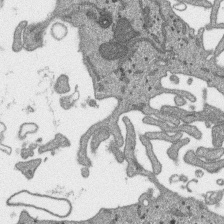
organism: Human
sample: Lung epithelial cells infected with SARS-CoV-2